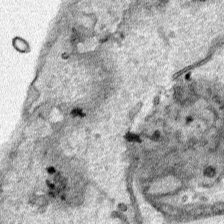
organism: Human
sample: Mitochondria in HCT116 cells